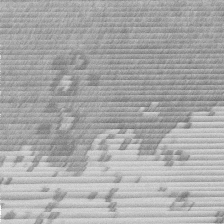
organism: Mouse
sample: Dividing mouse embryo 1 cell stage